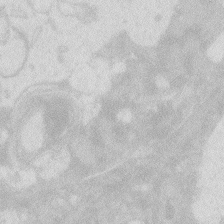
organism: Zebrafish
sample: Macrophage